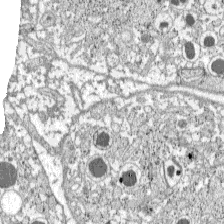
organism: C57BL Mouse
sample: Pancreatic islet